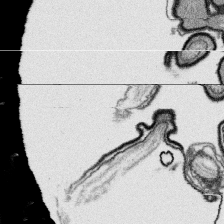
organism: Platynereis dumerilii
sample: Parapodia